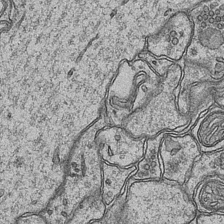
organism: Mouse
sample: CA1 Hippocampus